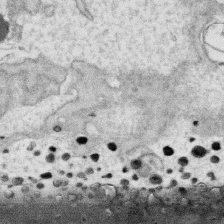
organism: Human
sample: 1205lu cells